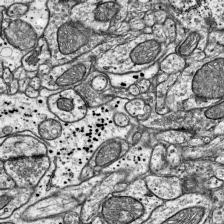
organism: Mouse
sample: Visual Cortex